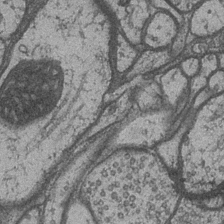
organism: Drosophila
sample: Optic medulla